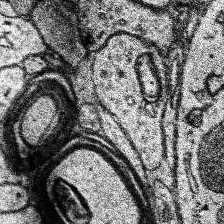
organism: Human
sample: Temporal Lobe